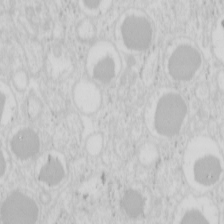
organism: Mouse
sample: Pancreas